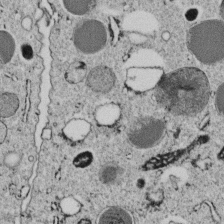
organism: C. elegans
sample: C. elegans embryo early stage